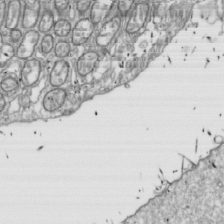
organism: Drosophila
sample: Cell division; meiosis; drosophila spermatocytes